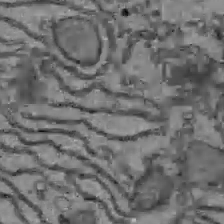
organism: C57BL Mouse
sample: Liver